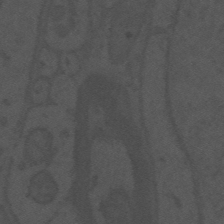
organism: Mouse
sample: Suprachiasmatic nucleus